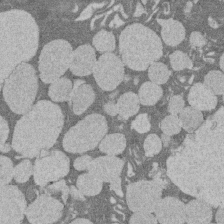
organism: Rat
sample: Salivary granule